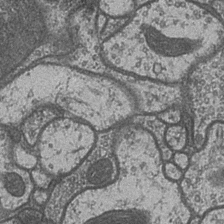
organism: Drosophila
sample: Optic medulla